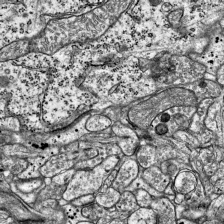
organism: Mouse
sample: Visual Cortex